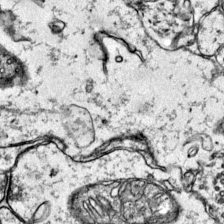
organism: Mouse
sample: Primary visual cortex